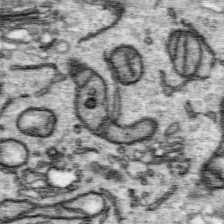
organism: Human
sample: HeLa cells